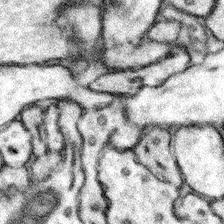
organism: Mouse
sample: Somatosensory cortex neuropil